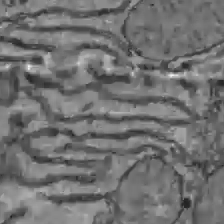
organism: C57BL Mouse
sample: Liver